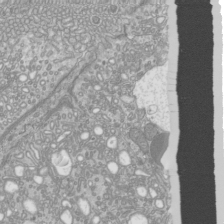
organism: Mouse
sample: Cilia; mouse epididymis